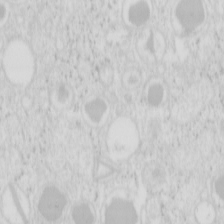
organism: Mouse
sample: Pancreas